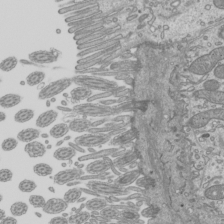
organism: Mouse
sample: Cilia; mouse epididymis